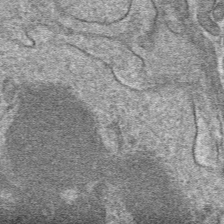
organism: Mouse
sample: Mouse hepatocytes